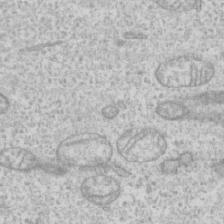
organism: Human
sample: CRL-1474